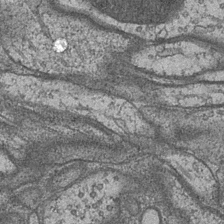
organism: Drosophila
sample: Optic medulla